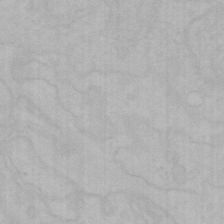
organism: Mouse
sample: Choroid plexus